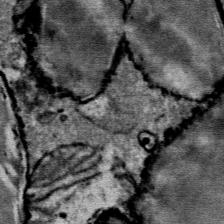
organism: Mouse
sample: Mouse Salivary gland